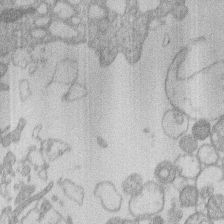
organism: Human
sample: Macrophage cells